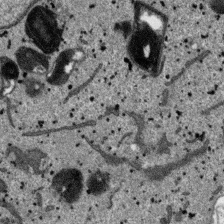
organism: Human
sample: Lung epithelial cells, uninfected (mock) control